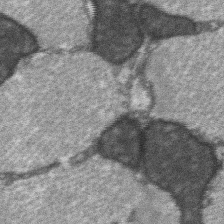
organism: C57BL Mouse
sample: Soleus